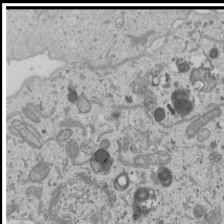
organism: Human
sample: Mitochondria in U2OS cells